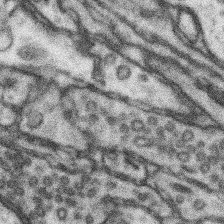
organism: Mouse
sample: Somatosensory cortex neuropil